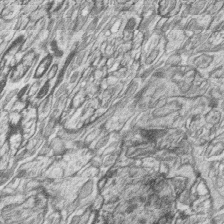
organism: Zebrafish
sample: synaptic ribbons in rod cells and cone cells